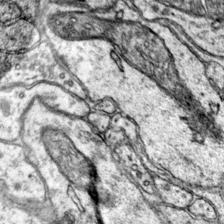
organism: Mouse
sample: Primary visual cortex